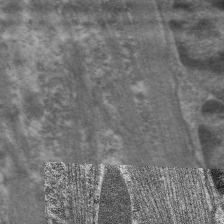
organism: C. elegans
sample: Pharynx